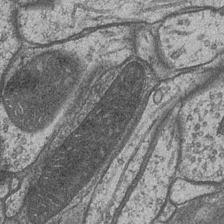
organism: Drosophila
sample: Optic medulla